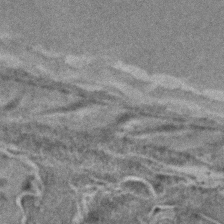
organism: C. elegans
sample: C. elegans embryo